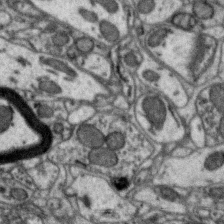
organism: Zebra finch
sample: Brain